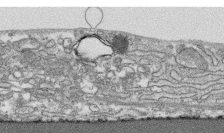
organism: Human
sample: CRL-1474